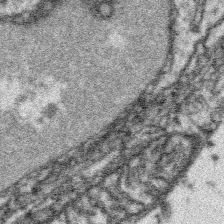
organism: Platynereis dumerilii